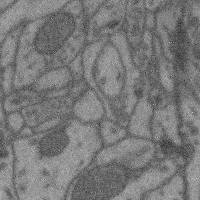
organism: Mouse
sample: Cerebral cortex